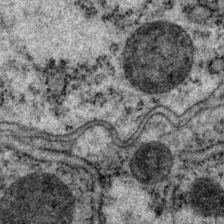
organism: P. pacificus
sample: Pharynx